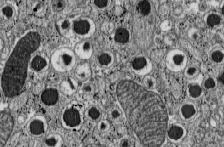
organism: C57BL Mouse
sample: Pancreatic islet